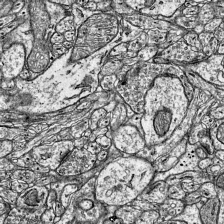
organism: Mouse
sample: Visual Cortex